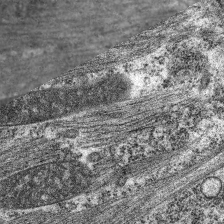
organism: C. elegans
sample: Pharynx